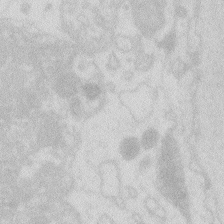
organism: Zebrafish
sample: Macrophage